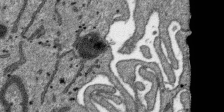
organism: Human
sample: Lung epithelial cells, uninfected (mock) control